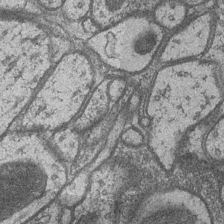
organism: Drosophila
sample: Optic medulla